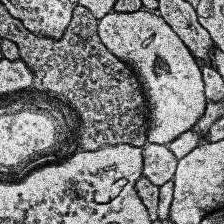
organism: Human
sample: Temporal Lobe